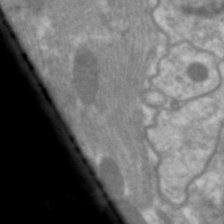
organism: C. elegans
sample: Pharynx